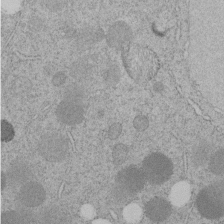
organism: C. elegans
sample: C. elegans embryo early stage